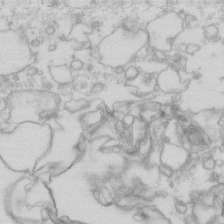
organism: Human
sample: Fibroblast cells